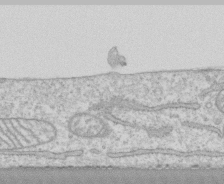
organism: Human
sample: CRL-1474